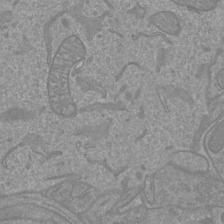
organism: Mouse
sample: Cortical neurons